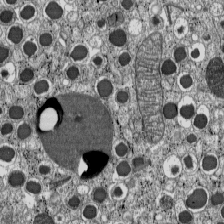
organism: C57BL Mouse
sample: Pancreatic islet